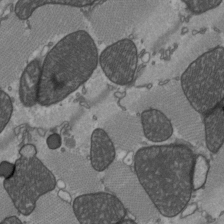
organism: C57BL Mouse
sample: Heart